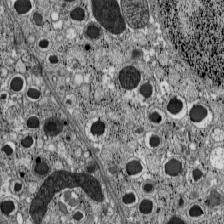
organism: C57BL Mouse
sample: Pancreatic islet